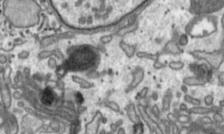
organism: Toxoplasma gondii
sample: Parasites in a vacuole inside a host cell